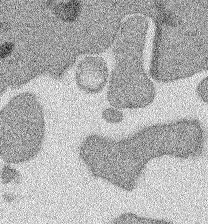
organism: Human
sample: HeLa cells